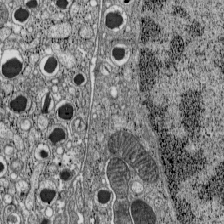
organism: C57BL Mouse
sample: Pancreatic islet